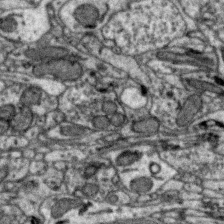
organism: Zebra finch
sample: Brain